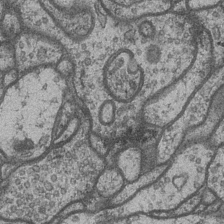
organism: Drosophila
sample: Optic medulla